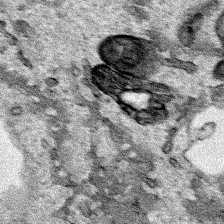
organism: Human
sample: Mitochondria in HCT116 cells